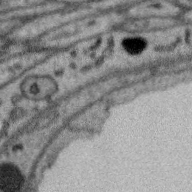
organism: Zebra finch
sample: Brain